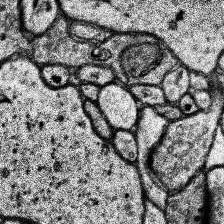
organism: Human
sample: Temporal Lobe